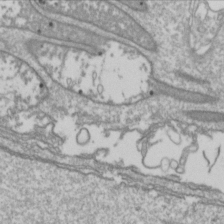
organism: Drosophila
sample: Cell division; meiosis; drosophila spermatocytes